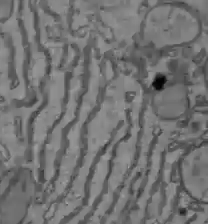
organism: C57BL Mouse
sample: Liver